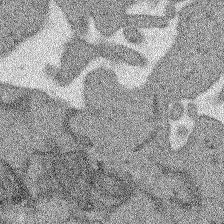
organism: Human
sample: HeLa cells